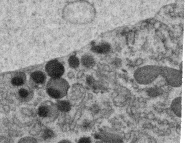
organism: C. elegans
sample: C. elegans oocyte; sperm cells